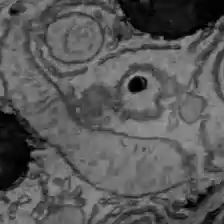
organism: C57BL Mouse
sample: Liver